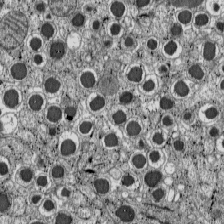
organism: C57BL Mouse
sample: Pancreatic islet